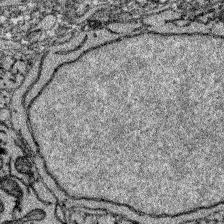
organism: Zebrafish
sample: Larval olfactory bulb